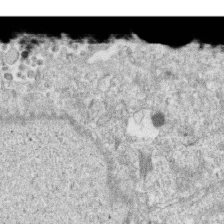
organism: Human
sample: HeLa cell HIV synapse